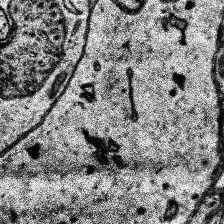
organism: Human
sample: Temporal Lobe